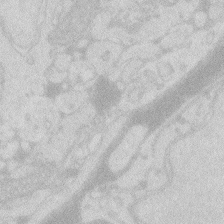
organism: Zebrafish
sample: Macrophage